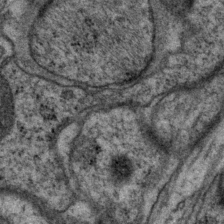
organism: P. pacificus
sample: Pharynx